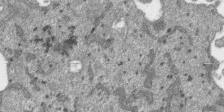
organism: Human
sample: Lung epithelial cells infected with SARS-CoV-2